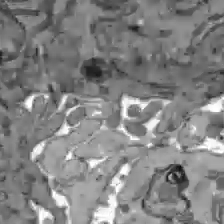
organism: C57BL Mouse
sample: Liver